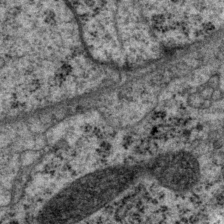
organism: P. pacificus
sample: Pharynx